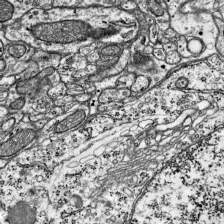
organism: Mouse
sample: Visual Cortex